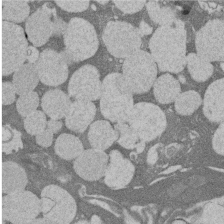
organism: Rat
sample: Salivary granule